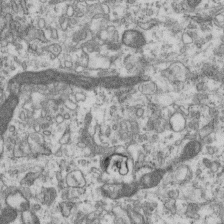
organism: Mouse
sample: Centriole in ependymal cells